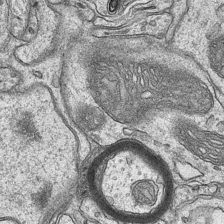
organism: Mouse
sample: CA1 Hippocampus